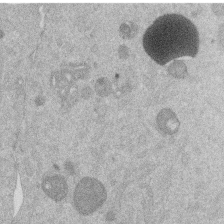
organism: Mouse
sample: Dividing mouse embryo 1 cell stage